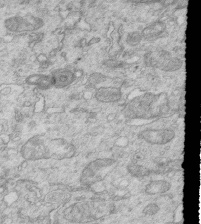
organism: Mouse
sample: Multiciliated cells